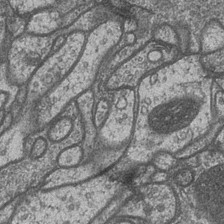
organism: Drosophila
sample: Optic medulla